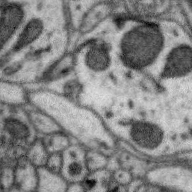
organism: Zebra finch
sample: Brain